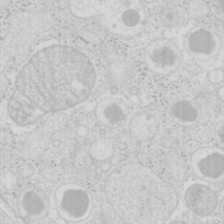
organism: Mouse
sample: Pancreas